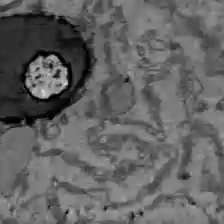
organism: C57BL Mouse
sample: Liver